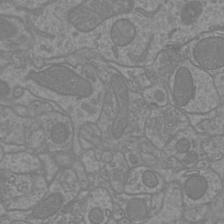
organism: Mouse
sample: Cortical neurons